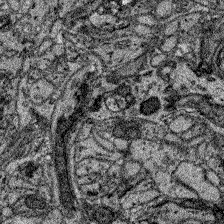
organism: Zebrafish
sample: Larval olfactory bulb